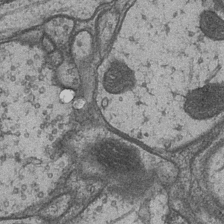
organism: Drosophila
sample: Optic medulla